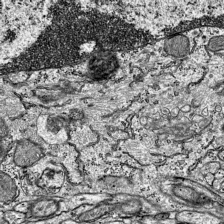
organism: Mouse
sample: Visual Cortex